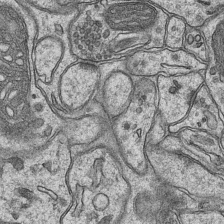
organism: Mouse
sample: CA1 Hippocampus